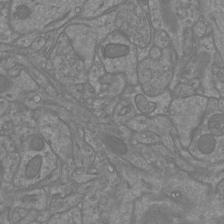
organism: Mouse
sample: Cortical neurons